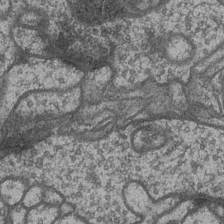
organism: Drosophila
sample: Optic medulla